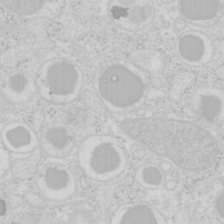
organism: Mouse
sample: Pancreas